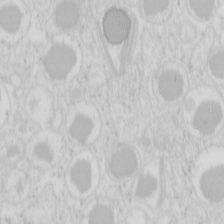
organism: Mouse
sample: Pancreas